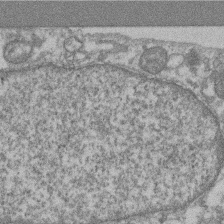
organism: Mouse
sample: T cell stromal cell synapse